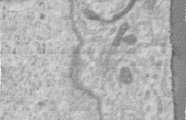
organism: Human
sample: Centriole in RPE cells